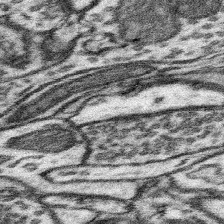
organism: Mouse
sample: Somatosensory cortex neuropil